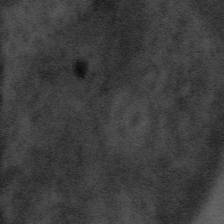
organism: Tuwongella immobilis